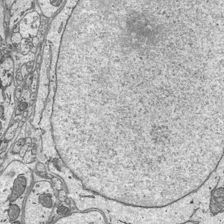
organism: Mouse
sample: Suprachiasmatic nucleus